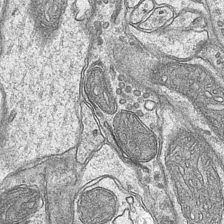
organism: Mouse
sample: CA1 Hippocampus